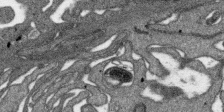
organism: Human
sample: Lung epithelial cells, uninfected (mock) control